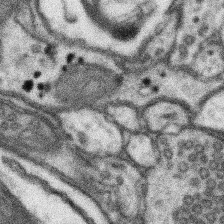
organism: Mouse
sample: Somatosensory cortex neuropil